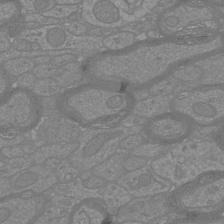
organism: Mouse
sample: Cortical neurons